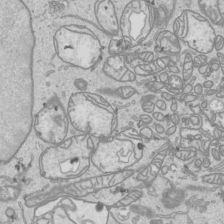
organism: Human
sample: Mitochondria in HCT116 cells